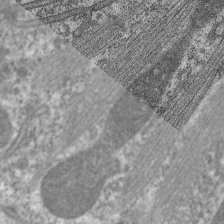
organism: C. elegans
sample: Pharynx